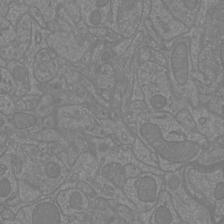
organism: Mouse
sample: Cortical neurons